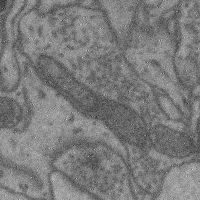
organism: Mouse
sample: Cerebral cortex